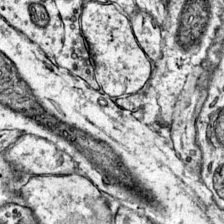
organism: Mouse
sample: Primary visual cortex